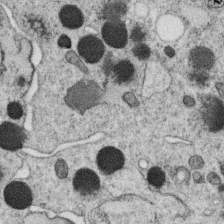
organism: C. elegans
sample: C. elegans oocyte; sperm cells